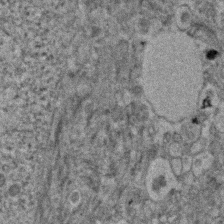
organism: Human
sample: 1205lu cells